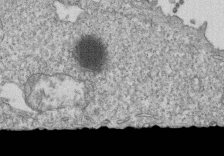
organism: Human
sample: HeLa cell HIV synapse